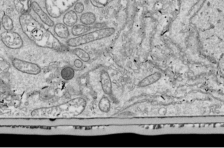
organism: Drosophila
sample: Cell division; meiosis; drosophila spermatocytes